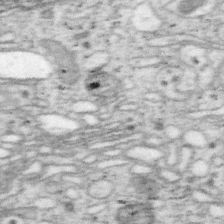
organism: Mouse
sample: OT-I killer T cells with ID8 ovarian cancer cells